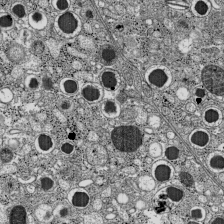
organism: C57BL Mouse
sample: Pancreatic islet